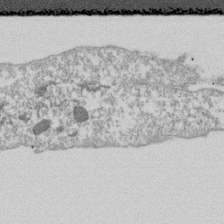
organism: Dictyostelium discoideum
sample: Dictyostelium multivesicular bodies